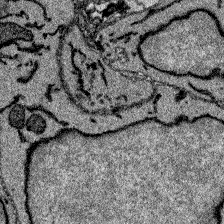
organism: Zebrafish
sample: Larval olfactory bulb